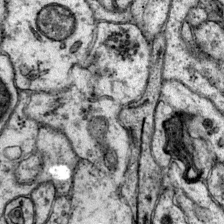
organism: Mouse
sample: Primary visual cortex